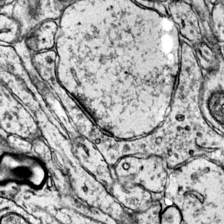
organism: Mouse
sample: Primary visual cortex